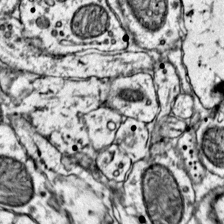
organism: Mouse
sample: Primary visual cortex